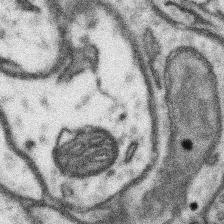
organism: Mouse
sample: Somatosensory cortex neuropil